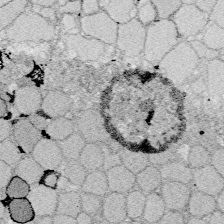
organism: Zebrafish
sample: Whole-Brain